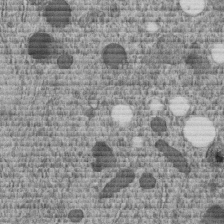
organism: C. elegans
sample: C. elegans embryo early stage